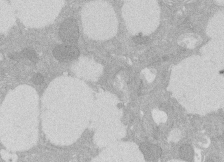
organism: Rat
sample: Salivary granule